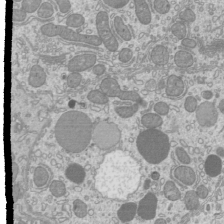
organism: Mouse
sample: Cilia; mouse epididymis